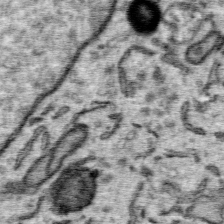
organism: Human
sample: HeLa cells